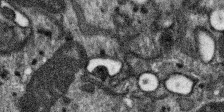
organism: Human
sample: Lung epithelial cells infected with SARS-CoV-2